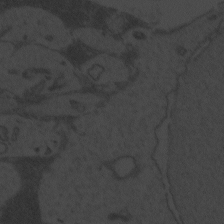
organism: Zebrafish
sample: Macrophage infected with Toxoplasma gondii